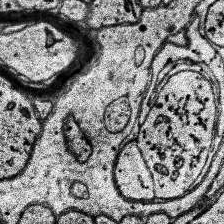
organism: Human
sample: Temporal Lobe